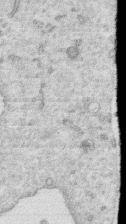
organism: Human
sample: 1205lu cells